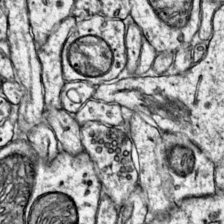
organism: Mouse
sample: Primary visual cortex